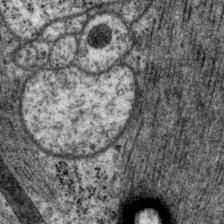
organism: P. pacificus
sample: Pharynx